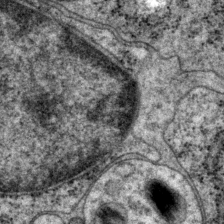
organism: P. pacificus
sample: Pharynx